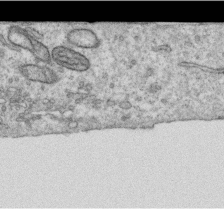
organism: Human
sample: Centriole in RPE cells